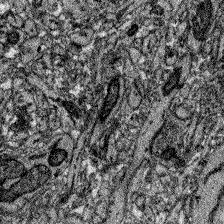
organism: Zebrafish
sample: Larval olfactory bulb